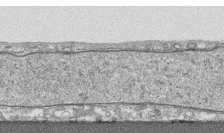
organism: Human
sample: CRL-1474